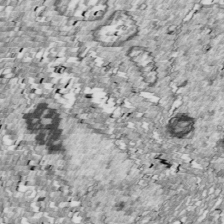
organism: Drosophila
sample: Cell division; meiosis; drosophila spermatocytes